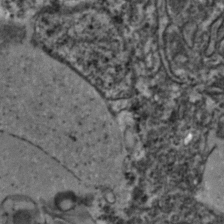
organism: Zebrafish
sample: Zebrafish embryo